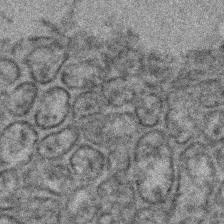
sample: Kidney